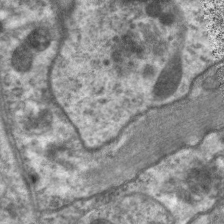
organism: C. elegans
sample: Pharynx